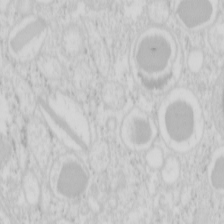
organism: Mouse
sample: Pancreas